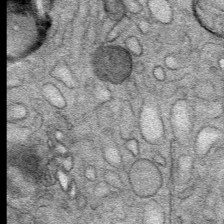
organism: Mouse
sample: Mouse Salivary gland